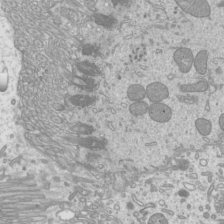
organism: Mouse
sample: Cilia; mouse epididymis